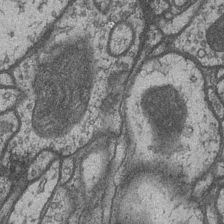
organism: Drosophila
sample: Optic medulla